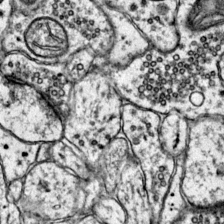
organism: Mouse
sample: Primary visual cortex